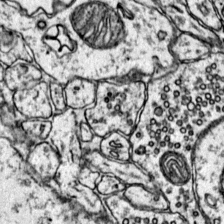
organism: Mouse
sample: Primary visual cortex